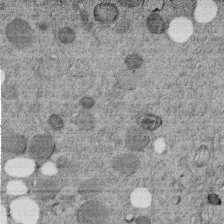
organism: C. elegans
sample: C. elegans embryo early stage